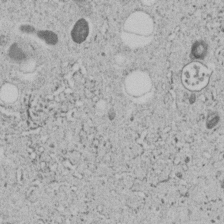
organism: C. elegans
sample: C. elegans embryo early stage